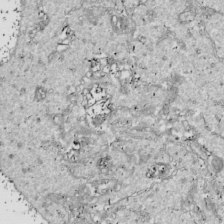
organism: Drosophila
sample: Cell division; meiosis; drosophila spermatocytes